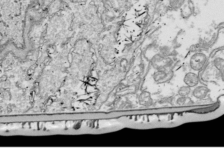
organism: Drosophila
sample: Cell division; meiosis; drosophila spermatocytes